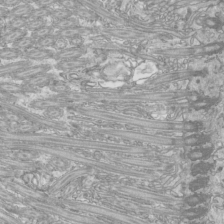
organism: Mouse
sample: Cilia; mouse epididymis